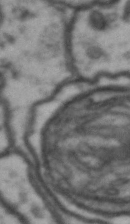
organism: Drosophila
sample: Brain